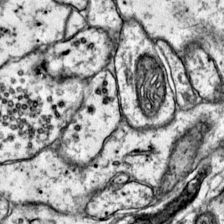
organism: Mouse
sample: Primary visual cortex